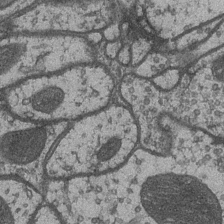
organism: Drosophila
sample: Optic medulla